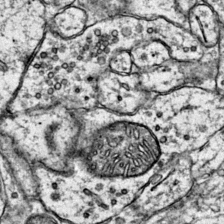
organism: Mouse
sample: Primary visual cortex